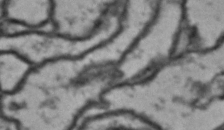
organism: Drosophila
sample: Brain